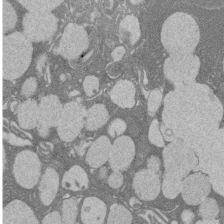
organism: Rat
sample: Salivary granule